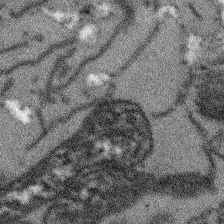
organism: Arabidopsis thaliana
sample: Root tip